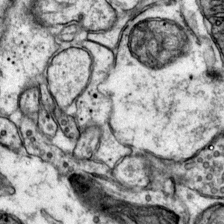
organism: Mouse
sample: Primary visual cortex